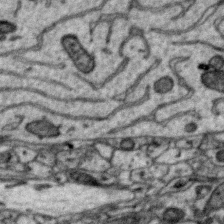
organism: Zebra finch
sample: Brain